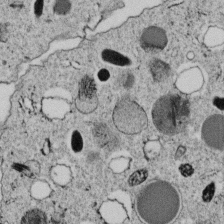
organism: C. elegans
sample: C. elegans embryo early stage